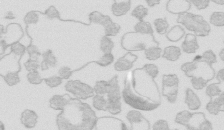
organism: Mouse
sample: Multiciliated cells